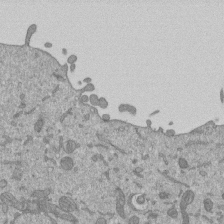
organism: Mouse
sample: ED-1 cell nuclei; centrioles